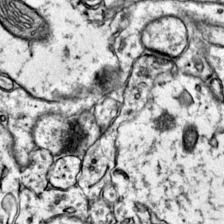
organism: Mouse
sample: Primary visual cortex